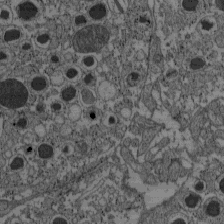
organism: C57BL Mouse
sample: Pancreatic islet